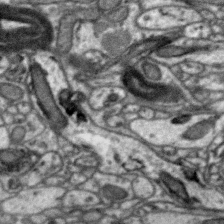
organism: Zebra finch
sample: Brain